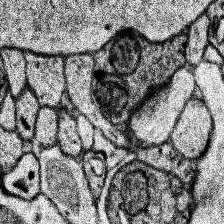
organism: Human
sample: Temporal Lobe